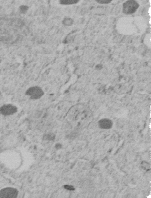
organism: C. elegans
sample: C. elegans embryo early stage